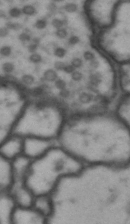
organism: Drosophila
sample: Brain